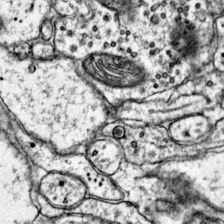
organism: Mouse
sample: Primary visual cortex